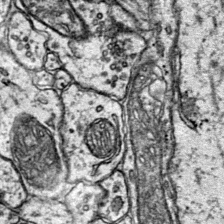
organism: Mouse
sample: Primary visual cortex